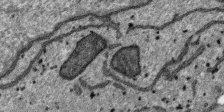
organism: Human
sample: Lung epithelial cells, uninfected (mock) control